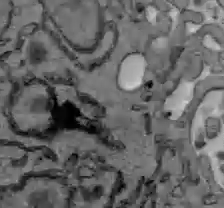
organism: C57BL Mouse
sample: Liver